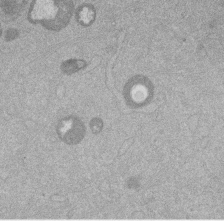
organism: Mouse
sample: Dividing mouse embryo 1 cell stage